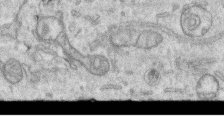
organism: Human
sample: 1205lu cells